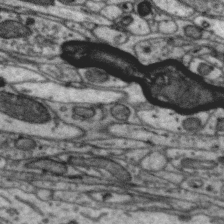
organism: Zebra finch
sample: Brain